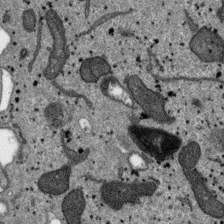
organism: Human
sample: Lung epithelial cells, uninfected (mock) control